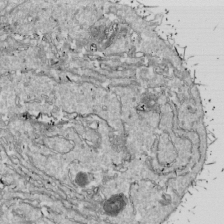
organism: Drosophila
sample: Cell division; meiosis; drosophila spermatocytes